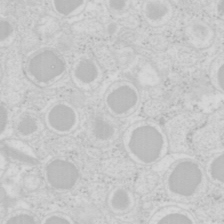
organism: Mouse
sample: Pancreas